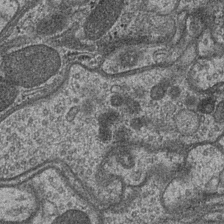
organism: Drosophila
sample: Optic medulla